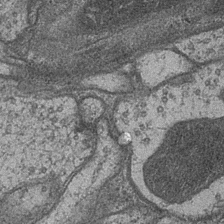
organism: Drosophila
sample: Optic medulla